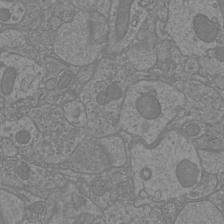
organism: Mouse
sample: Cortical neurons